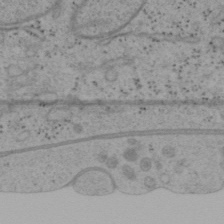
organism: Human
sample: HeLa cells